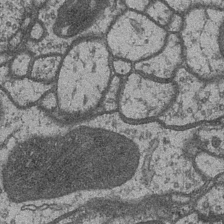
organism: Drosophila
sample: Optic medulla